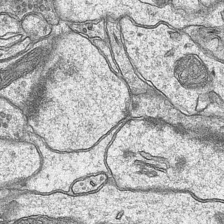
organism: Mouse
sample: CA1 Hippocampus